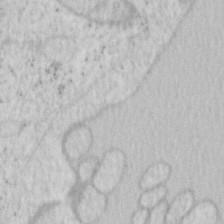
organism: Human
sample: HeLa cells